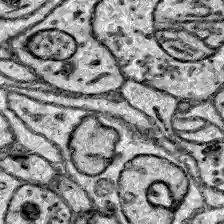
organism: Zebrafish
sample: Brain